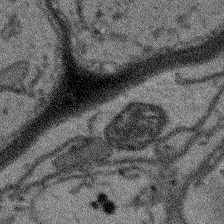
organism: Arabidopsis thaliana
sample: Root tip